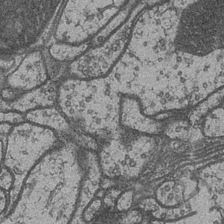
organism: Drosophila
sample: Optic medulla